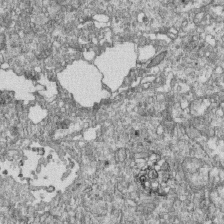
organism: Human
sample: HeLa cell HIV synapse